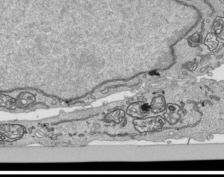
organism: Human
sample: Mitochondria in HCT116 cells